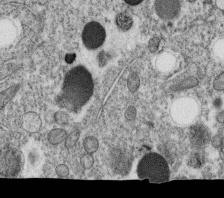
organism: C. elegans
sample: C. elegans oocyte; sperm cells